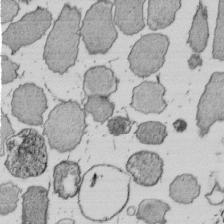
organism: E. coli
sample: Bacterial nucleoid